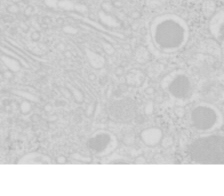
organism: Mouse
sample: Pancreas